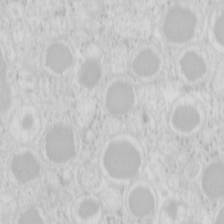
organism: Mouse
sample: Pancreas